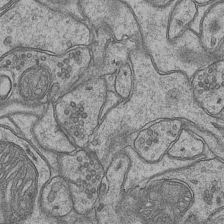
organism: Mouse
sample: CA1 Hippocampus